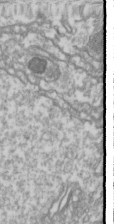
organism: Drosophila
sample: Cell division; meiosis; drosophila spermatocytes